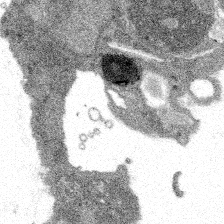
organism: Spongilla lacustris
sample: Multiple